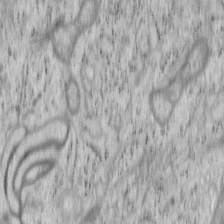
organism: Human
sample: HeLa cells